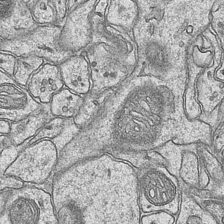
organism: Mouse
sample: CA1 Hippocampus